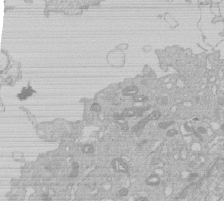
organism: Human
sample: Macrophage cells